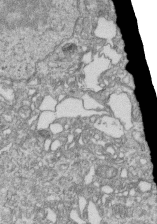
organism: Human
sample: HeLa cell HIV synapse